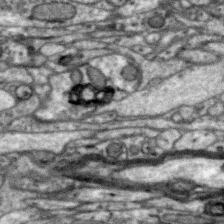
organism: Zebra finch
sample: Brain